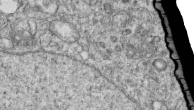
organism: Human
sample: HeLa cell HIV synapse